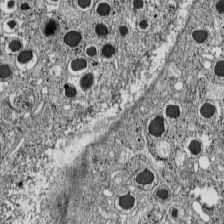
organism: C57BL Mouse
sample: Pancreatic islet